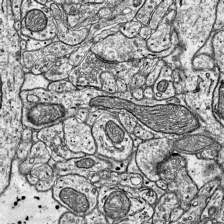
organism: Mouse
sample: Visual Cortex